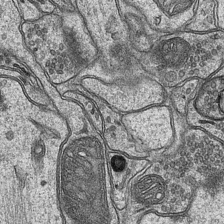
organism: Mouse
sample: CA1 Hippocampus